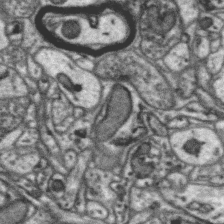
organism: Zebra finch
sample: Brain